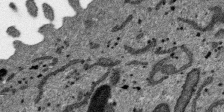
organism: Human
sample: Lung epithelial cells, uninfected (mock) control